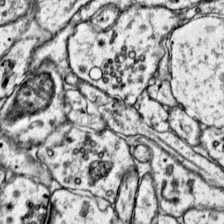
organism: Mouse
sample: Primary visual cortex